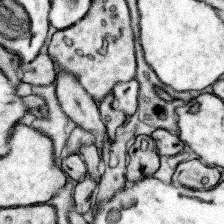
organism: Mouse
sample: Somatosensory cortex neuropil